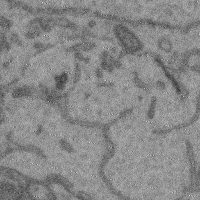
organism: Mouse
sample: Cerebral cortex